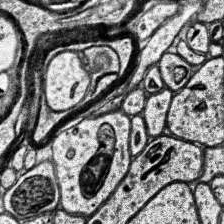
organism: Human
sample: Temporal Lobe